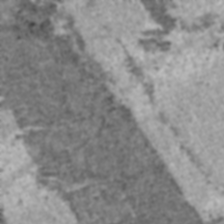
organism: C57BL Mouse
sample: Heart